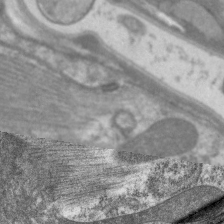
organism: C. elegans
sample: Pharynx